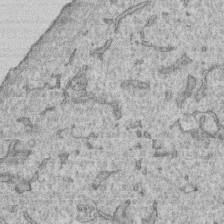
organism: Human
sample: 1205lu cells